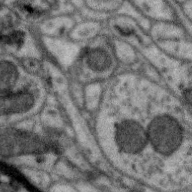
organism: Zebra finch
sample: Brain